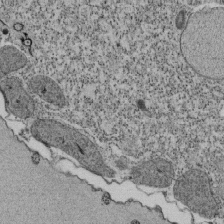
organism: Tetrahymena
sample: Cilia in tetrahymena